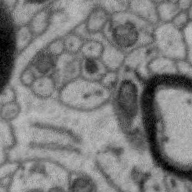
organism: Zebra finch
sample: Brain